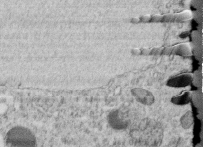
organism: C. elegans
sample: C. elegans embryo early stage